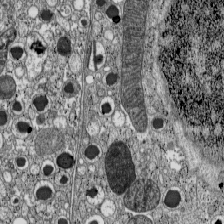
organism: C57BL Mouse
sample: Pancreatic islet